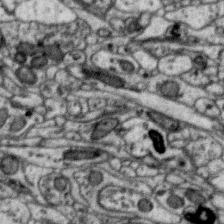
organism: Zebra finch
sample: Brain